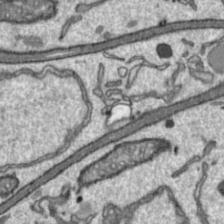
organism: Toxoplasma gondii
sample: Parasites in a vacuole inside a host cell